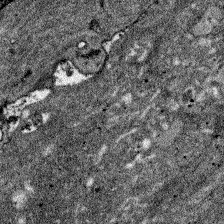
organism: Zebrafish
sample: Larval olfactory bulb